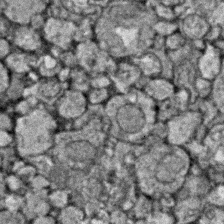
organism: Zebrafish